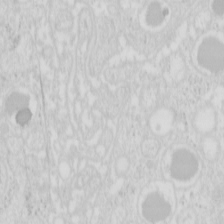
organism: Mouse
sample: Pancreas